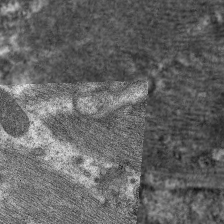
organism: C. elegans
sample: Pharynx